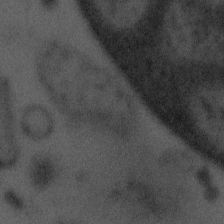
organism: Tuwongella immobilis